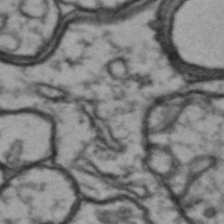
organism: Drosophila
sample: Brain